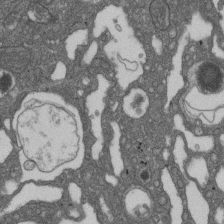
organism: Drosophila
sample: Nephrocyte